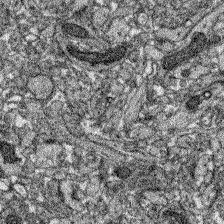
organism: Zebrafish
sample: Larval olfactory bulb